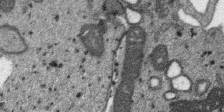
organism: Human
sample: Lung epithelial cells infected with SARS-CoV-2